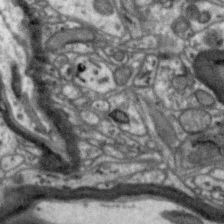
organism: Zebra finch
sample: Brain